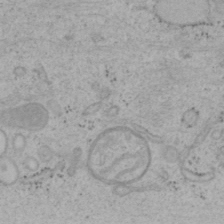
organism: Human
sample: HeLa cells